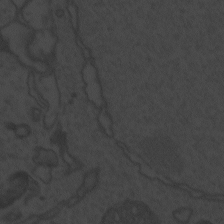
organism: Zebrafish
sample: Macrophage infected with Toxoplasma gondii